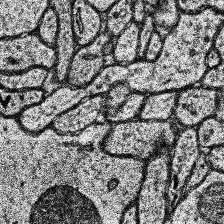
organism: Human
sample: Temporal Lobe